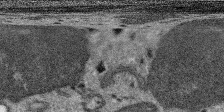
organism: Human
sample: Lung epithelial cells infected with SARS-CoV-2